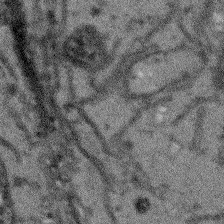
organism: Arabidopsis thaliana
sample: Root tip